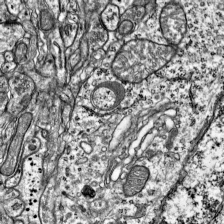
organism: Mouse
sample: Visual Cortex